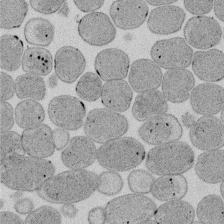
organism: E. coli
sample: Bacterial nucleoid